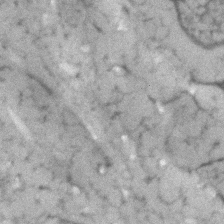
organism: Human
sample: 1205lu cells